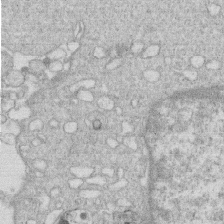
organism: Human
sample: Macrophage cells